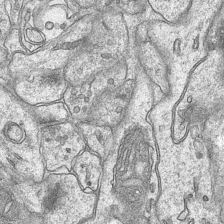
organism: Mouse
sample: CA1 Hippocampus